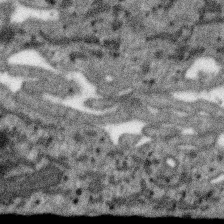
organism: Human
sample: Lung epithelial cells infected with SARS-CoV-2